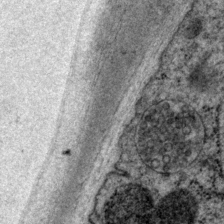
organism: P. pacificus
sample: Pharynx